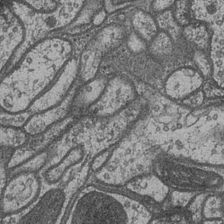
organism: Drosophila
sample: Optic medulla